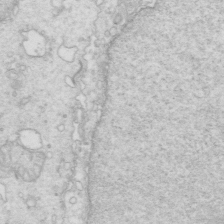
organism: Mouse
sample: Multiciliated cells